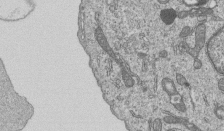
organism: Human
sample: MDA-MB-231 cells